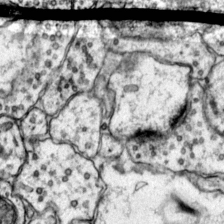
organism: Mouse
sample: Primary visual cortex